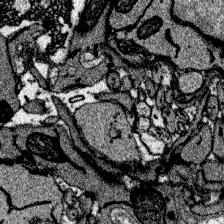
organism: Zebrafish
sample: Larval olfactory bulb